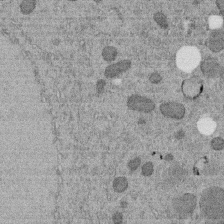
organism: C. elegans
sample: C. elegans embryo early stage